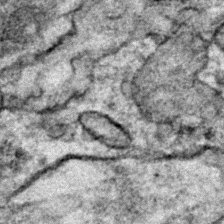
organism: Zebrafish